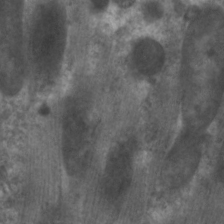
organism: C. elegans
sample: Pharynx